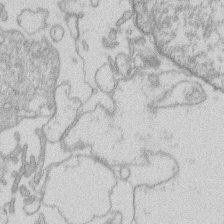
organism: Human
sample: Macrophage cells